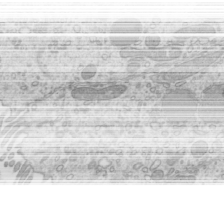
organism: Mouse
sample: Cilia; mouse epididymis